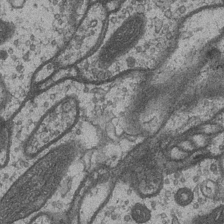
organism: Drosophila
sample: Optic medulla